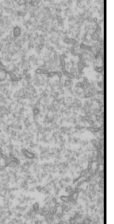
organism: Drosophila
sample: Cell division; meiosis; drosophila spermatocytes